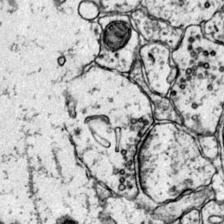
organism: Mouse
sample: Primary visual cortex